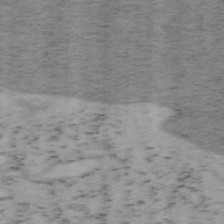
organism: Mouse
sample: OT-I killer T cells with ID8 ovarian cancer cells